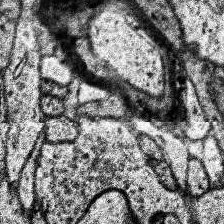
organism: Human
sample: Temporal Lobe